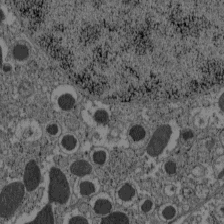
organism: C57BL Mouse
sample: Pancreatic islet